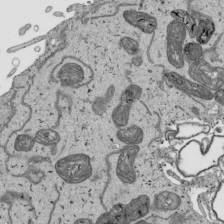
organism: Human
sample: Mitochondria in HCT116 cells